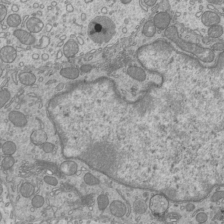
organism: Mouse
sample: Cilia; mouse epididymis